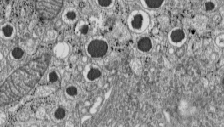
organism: C57BL Mouse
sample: Pancreatic islet